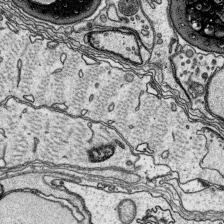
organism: Platynereis dumerilii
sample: Parapodia